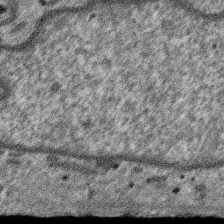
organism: Human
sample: Lung epithelial cells infected with SARS-CoV-2